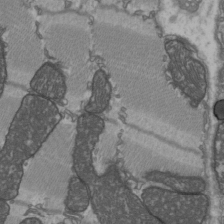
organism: C57BL Mouse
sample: Heart